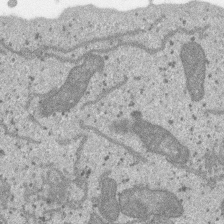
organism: Human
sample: Lung epithelial cells infected with SARS-CoV-2